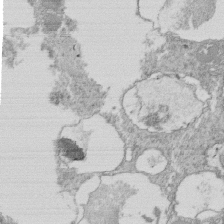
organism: Tetrahymena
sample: Cilia in tetrahymena